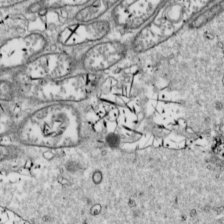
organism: Drosophila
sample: Cell division; meiosis; drosophila spermatocytes